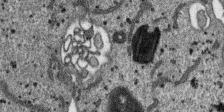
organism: Human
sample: Lung epithelial cells infected with SARS-CoV-2